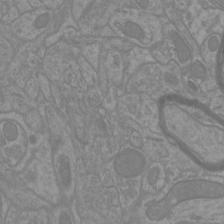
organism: Mouse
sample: Cortical neurons